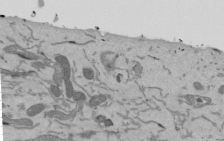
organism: Mouse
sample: ED-1 cell nuclei; centrioles